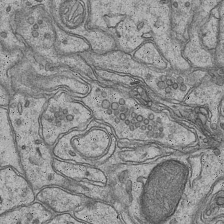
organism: Mouse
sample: CA1 Hippocampus